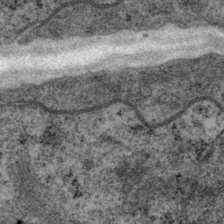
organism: P. pacificus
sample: Pharynx